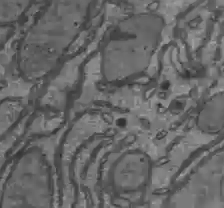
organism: C57BL Mouse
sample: Liver